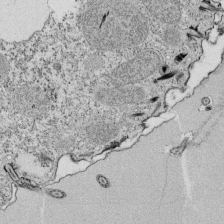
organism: Tetrahymena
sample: Cilia in tetrahymena